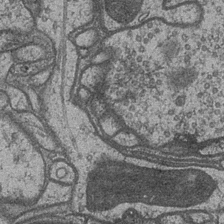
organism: Drosophila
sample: Optic medulla